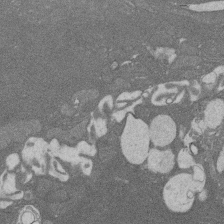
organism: Rat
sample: Salivary granule